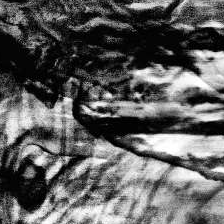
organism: Human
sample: Temporal Lobe